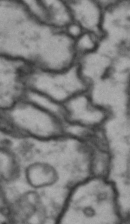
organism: Drosophila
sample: Brain